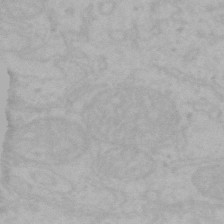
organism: Mouse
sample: Choroid plexus